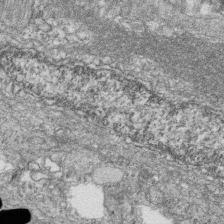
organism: Zebrafish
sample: Cilia; retinal pigment epithelium